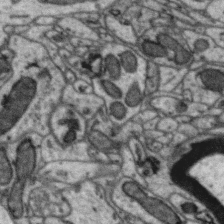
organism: Zebra finch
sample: Brain